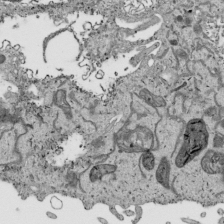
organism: Human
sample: Mitochondria in HCT116 cells